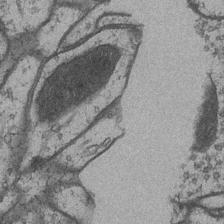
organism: Drosophila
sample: Optic medulla